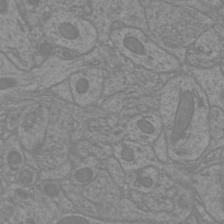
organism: Mouse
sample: Cortical neurons